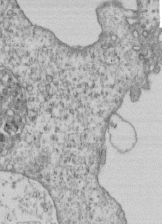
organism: Human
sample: MDA-MB-231 cells